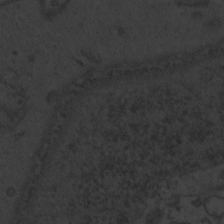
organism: Zebrafish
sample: Macrophage infected with Toxoplasma gondii